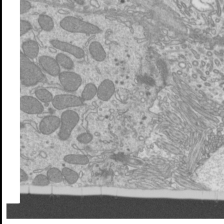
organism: Mouse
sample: Cilia; mouse epididymis